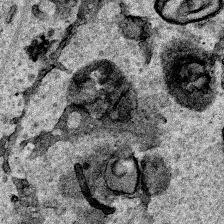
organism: Human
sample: Mitochondria in HCT116 cells